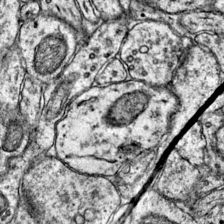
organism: Mouse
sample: Primary visual cortex